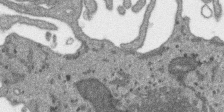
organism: Human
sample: Lung epithelial cells infected with SARS-CoV-2